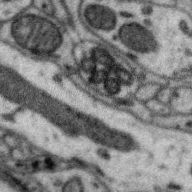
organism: Zebra finch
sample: Brain